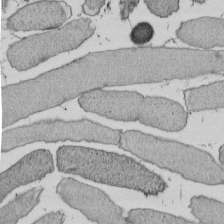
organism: E. coli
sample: Bacterial nucleoid